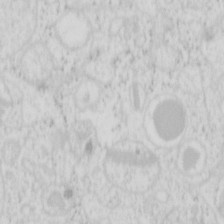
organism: Mouse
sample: Pancreas